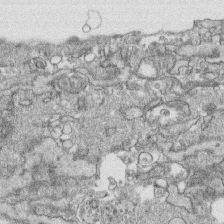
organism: Human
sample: CRL-1474